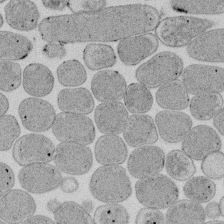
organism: E. coli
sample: Bacterial nucleoid